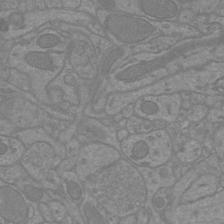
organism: Mouse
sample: Cortical neurons